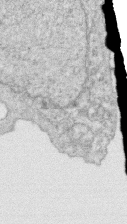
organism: Human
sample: HeLa cell HIV synapse